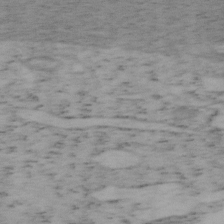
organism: Mouse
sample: OT-I killer T cells with ID8 ovarian cancer cells